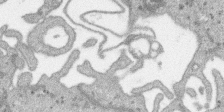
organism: Human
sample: Lung epithelial cells infected with SARS-CoV-2